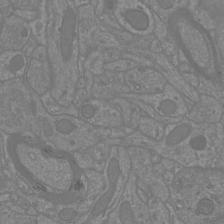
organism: Mouse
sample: Cortical neurons